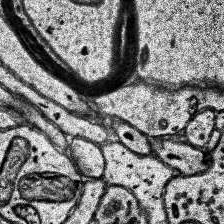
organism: Human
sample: Temporal Lobe